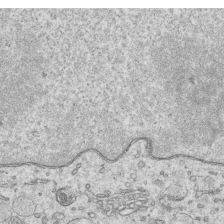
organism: Human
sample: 1205lu cells